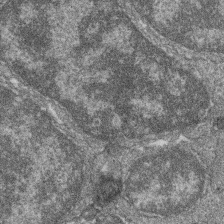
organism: Zebrafish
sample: Cilia; retinal pigment epithelium